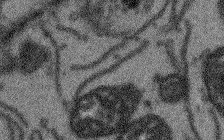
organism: Arabidopsis thaliana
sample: Root tip